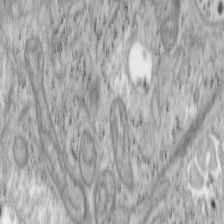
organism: Human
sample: HeLa cells